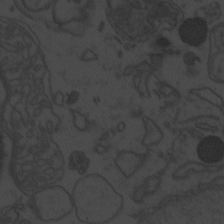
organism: Zebrafish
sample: Macrophage infected with Toxoplasma gondii